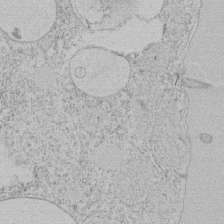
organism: Tetrahymena